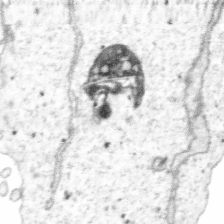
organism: Human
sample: HeLa cells